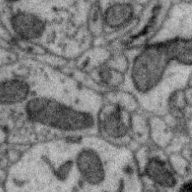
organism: Zebra finch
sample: Brain